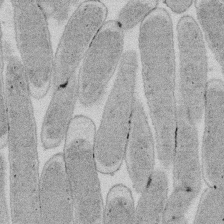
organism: E. coli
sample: Bacterial nucleoid